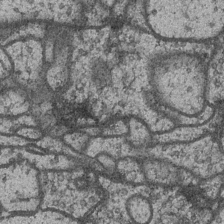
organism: Drosophila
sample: Optic medulla